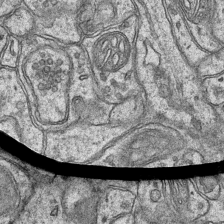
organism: Mouse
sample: CA1 Hippocampus